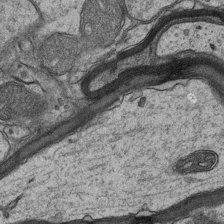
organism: Mouse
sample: CA1 Hippocampus